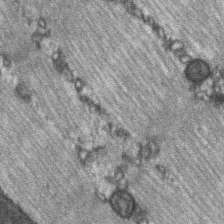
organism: C57BL Mouse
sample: Soleus